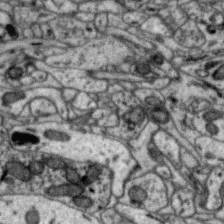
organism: Zebra finch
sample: Brain